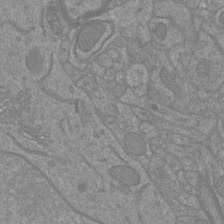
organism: Mouse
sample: Cortical neurons